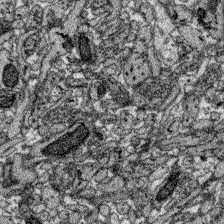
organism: Zebrafish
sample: Larval olfactory bulb